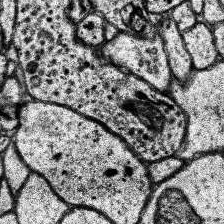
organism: Human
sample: Temporal Lobe